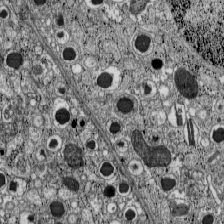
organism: C57BL Mouse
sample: Pancreatic islet